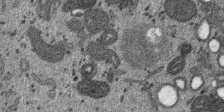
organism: Human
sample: Lung epithelial cells infected with SARS-CoV-2